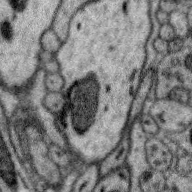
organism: Zebra finch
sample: Brain